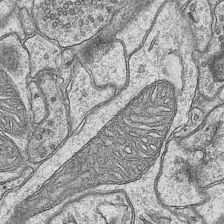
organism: Mouse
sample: CA1 Hippocampus